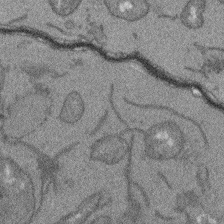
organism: Arabidopsis thaliana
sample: Root tip